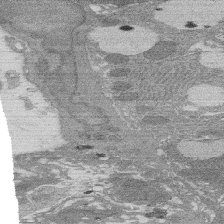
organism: Rat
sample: Salivary granule